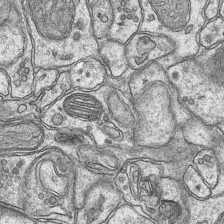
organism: Mouse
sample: CA1 Hippocampus